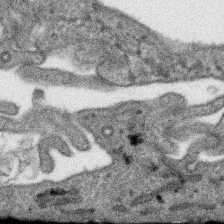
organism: Human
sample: Lung epithelial cells infected with SARS-CoV-2